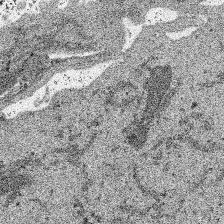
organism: Human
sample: Lung epithelial cells infected with SARS-CoV-2